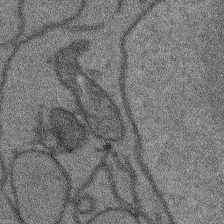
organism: Arabidopsis thaliana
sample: Root tip